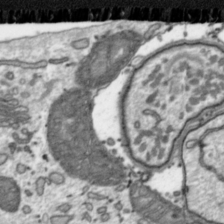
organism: Toxoplasma gondii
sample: Parasites in a vacuole inside a host cell